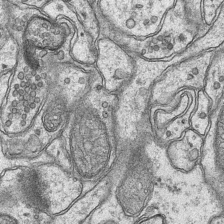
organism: Mouse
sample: CA1 Hippocampus